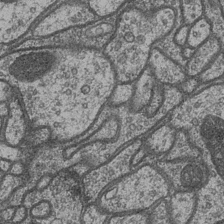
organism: Drosophila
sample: Optic medulla